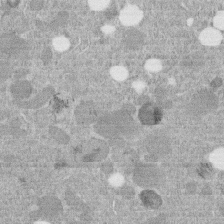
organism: C. elegans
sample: C. elegans embryo early stage